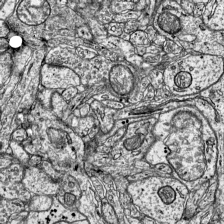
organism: Mouse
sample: Visual Cortex